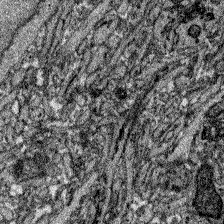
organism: Zebrafish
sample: Larval olfactory bulb